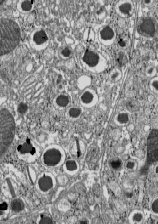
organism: C57BL Mouse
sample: Pancreatic islet